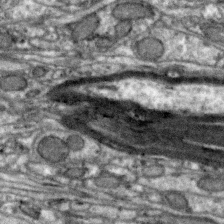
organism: Zebra finch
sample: Brain